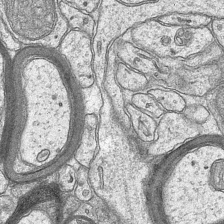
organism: Mouse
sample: CA1 Hippocampus